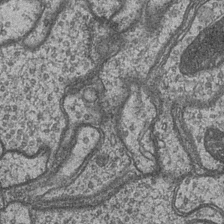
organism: Drosophila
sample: Optic medulla